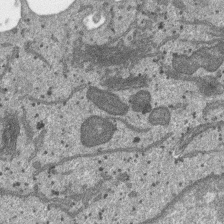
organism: Human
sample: Lung epithelial cells infected with SARS-CoV-2